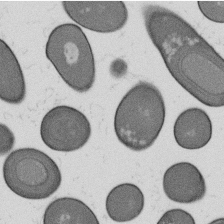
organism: B. subtilis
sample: Bacterial spore